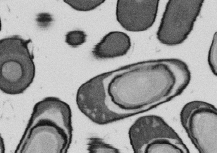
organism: B. subtilis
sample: Bacterial spore